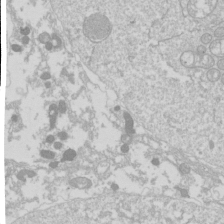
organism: Drosophila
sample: Cell division; meiosis; drosophila spermatocytes